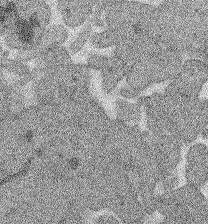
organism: Human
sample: HeLa cells